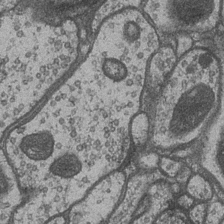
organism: Drosophila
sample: Optic medulla